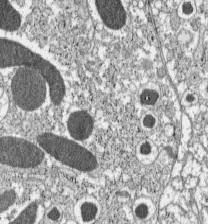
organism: C57BL Mouse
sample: Pancreatic islet